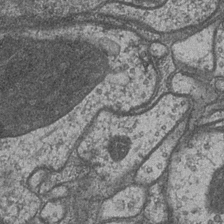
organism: Drosophila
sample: Optic medulla